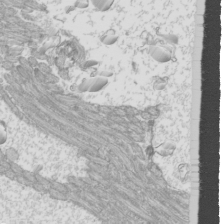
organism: Mouse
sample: Cilia; mouse epididymis